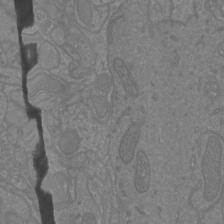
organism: Mouse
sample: Cortical neurons